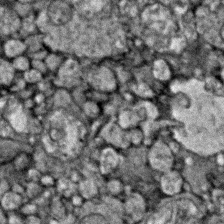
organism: Zebrafish